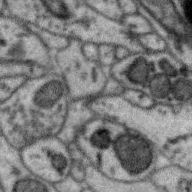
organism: Zebra finch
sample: Brain